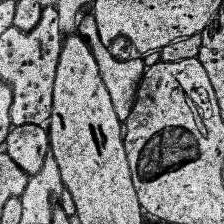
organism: Human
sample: Temporal Lobe